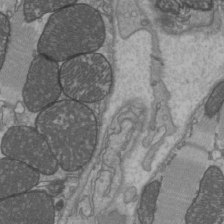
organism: C57BL Mouse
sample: Heart